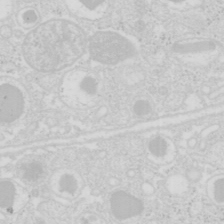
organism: Mouse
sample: Pancreas